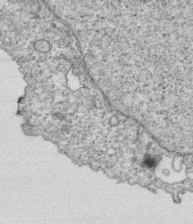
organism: Human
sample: HeLa cell HIV synapse